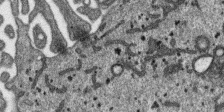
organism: Human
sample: Lung epithelial cells infected with SARS-CoV-2